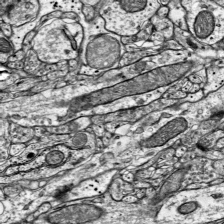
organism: Mouse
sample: Visual Cortex